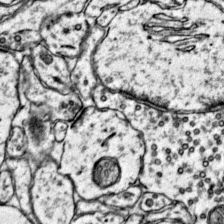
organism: Mouse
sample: Primary visual cortex